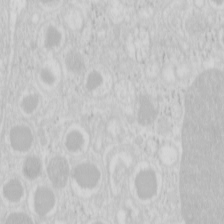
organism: Mouse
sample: Pancreas